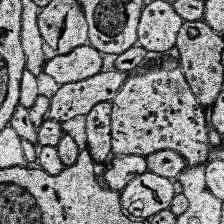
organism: Human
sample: Temporal Lobe